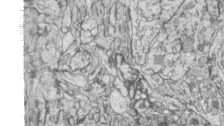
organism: Zebrafish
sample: synaptic ribbons in rod cells and cone cells